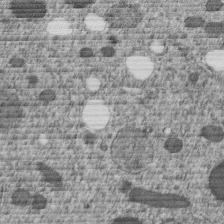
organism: C. elegans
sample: C. elegans embryo early stage